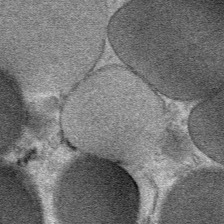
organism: Mouse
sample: Mouse Salivary gland